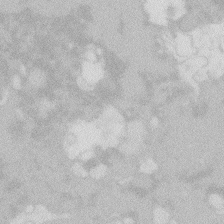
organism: Zebrafish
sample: Macrophage